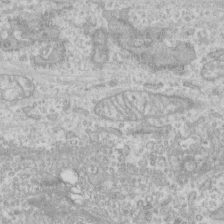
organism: Human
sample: CRL-1474